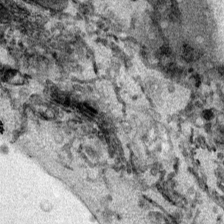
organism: Mouse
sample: Cancer cell death in ED-1 cells